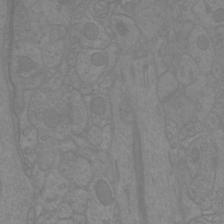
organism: Mouse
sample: Cortical neurons